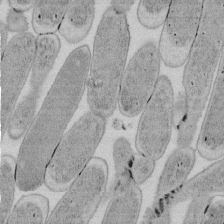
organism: E. coli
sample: Bacterial nucleoid